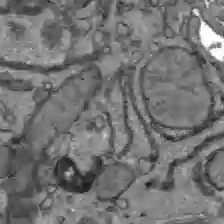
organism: C57BL Mouse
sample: Liver